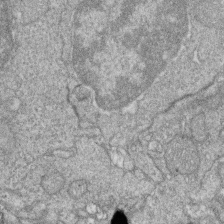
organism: Zebrafish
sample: Cilia; retinal pigment epithelium